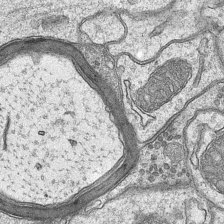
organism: Mouse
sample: CA1 Hippocampus